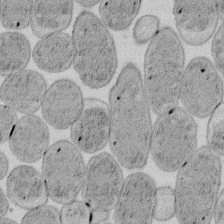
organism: E. coli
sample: Bacterial nucleoid